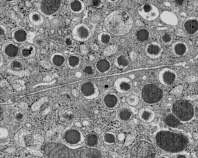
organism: C57BL Mouse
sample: Pancreatic islet